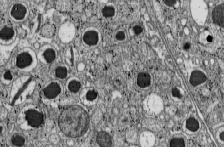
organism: C57BL Mouse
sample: Pancreatic islet